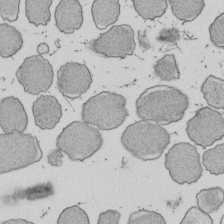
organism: E. coli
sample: Bacterial nucleoid